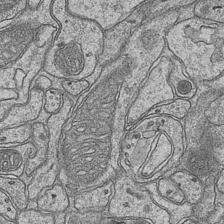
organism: Mouse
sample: CA1 Hippocampus